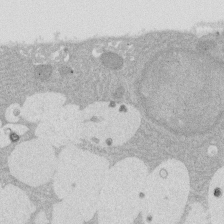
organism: Rat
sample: Salivary granule